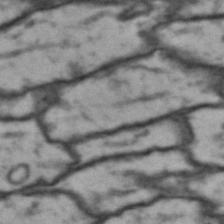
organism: Drosophila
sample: Brain